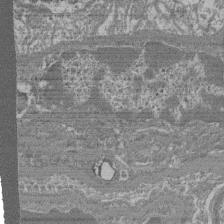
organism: Mouse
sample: Glomerulus